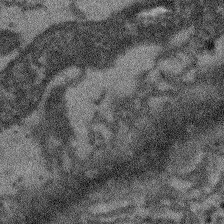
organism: Arabidopsis thaliana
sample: Root tip